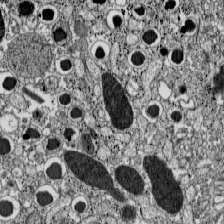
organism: C57BL Mouse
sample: Pancreatic islet